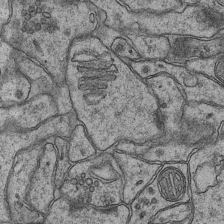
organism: Mouse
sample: CA1 Hippocampus